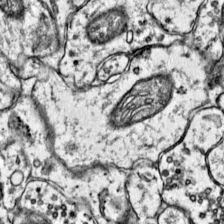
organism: Mouse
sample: Primary visual cortex